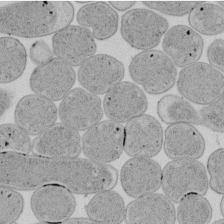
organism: E. coli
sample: Bacterial nucleoid